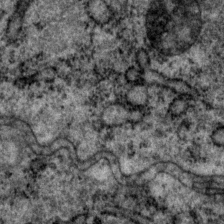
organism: P. pacificus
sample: Pharynx